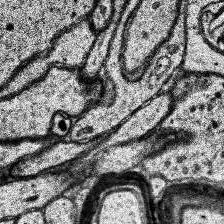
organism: Human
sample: Temporal Lobe